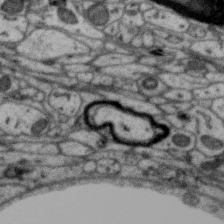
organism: Zebra finch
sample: Brain